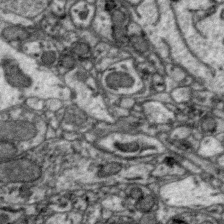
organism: Zebra finch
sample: Brain